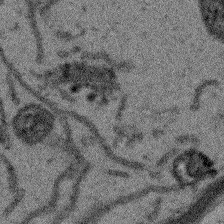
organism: Arabidopsis thaliana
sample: Root tip